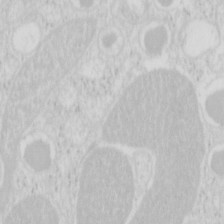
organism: Mouse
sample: Pancreas